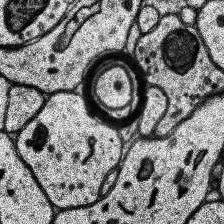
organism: Human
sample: Temporal Lobe